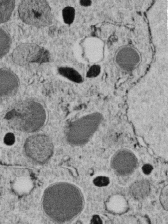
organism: C. elegans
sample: C. elegans embryo early stage